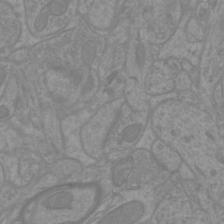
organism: Mouse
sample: Cortical neurons